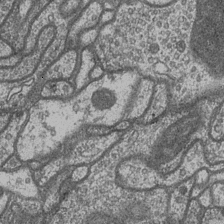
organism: Drosophila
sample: Optic medulla